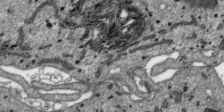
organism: Human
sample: Lung epithelial cells, uninfected (mock) control